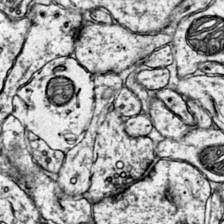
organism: Mouse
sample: Primary visual cortex